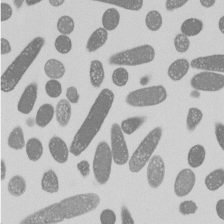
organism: E. coli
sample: Bacterial nucleoid